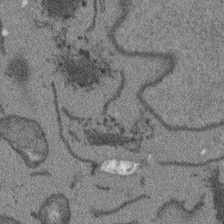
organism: Arabidopsis thaliana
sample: Root tip